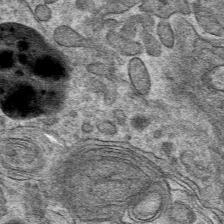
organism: Mouse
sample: Mouse hepatocytes